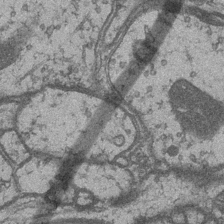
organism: Drosophila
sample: Optic medulla